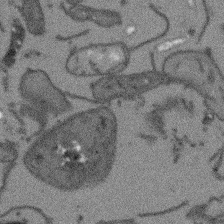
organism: Arabidopsis thaliana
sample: Root tip